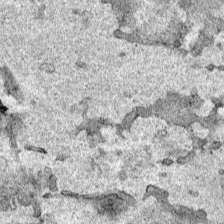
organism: Human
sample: Mitochondria in HCT116 cells